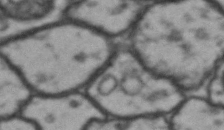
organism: Drosophila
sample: Brain